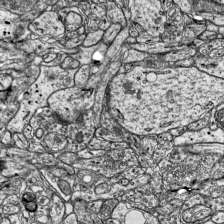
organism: Mouse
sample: Visual Cortex